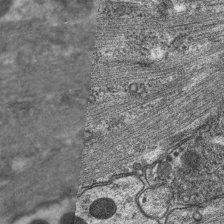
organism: C. elegans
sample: Pharynx